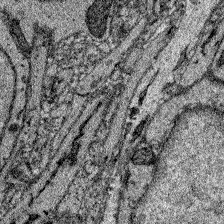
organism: Zebrafish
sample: Larval olfactory bulb